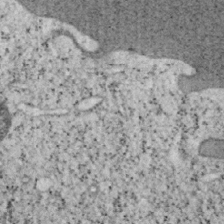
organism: Mouse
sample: OT-I killer T cells with ID8 ovarian cancer cells